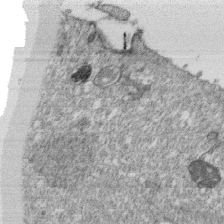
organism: African green monkey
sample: Vero E6 cells infected with SARS-CoV-2